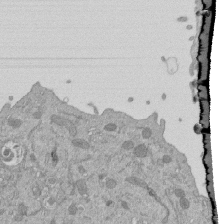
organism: Mouse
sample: ED-1 cell nuclei; centrioles